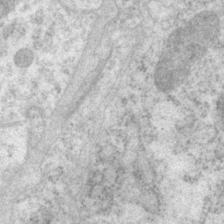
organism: P. pacificus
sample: Pharynx